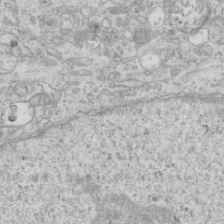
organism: Mouse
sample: Centriole in ependymal cells